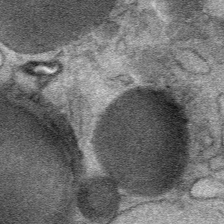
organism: Mouse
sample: Mouse Salivary gland